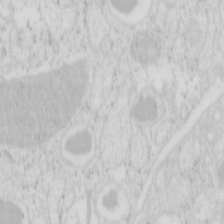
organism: Mouse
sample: Pancreas